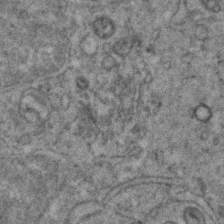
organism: Zebrafish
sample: Zebrafish embryo